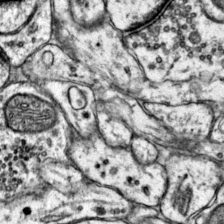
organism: Mouse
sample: Primary visual cortex